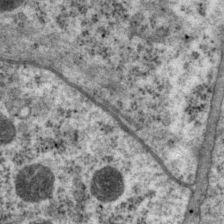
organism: P. pacificus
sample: Pharynx